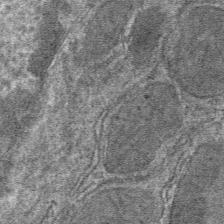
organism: Mouse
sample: Mouse hepatocytes